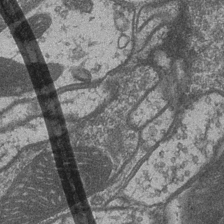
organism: Drosophila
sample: Optic medulla